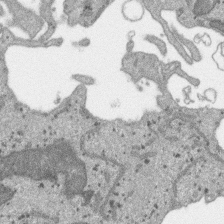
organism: Human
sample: Lung epithelial cells infected with SARS-CoV-2